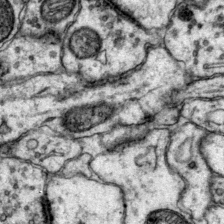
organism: Mouse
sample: Primary visual cortex